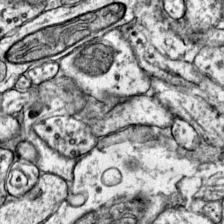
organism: Mouse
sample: Primary visual cortex